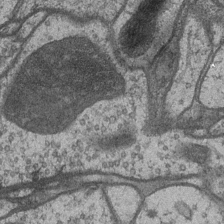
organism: Drosophila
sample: Optic medulla